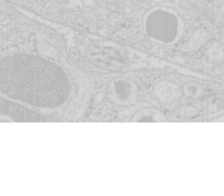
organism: Mouse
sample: Pancreas